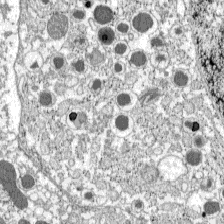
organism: C57BL Mouse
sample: Pancreatic islet